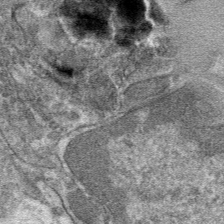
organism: Mouse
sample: Mouse hepatocytes